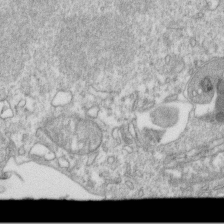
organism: Mouse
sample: Activated OT-1 CD8+ T cells